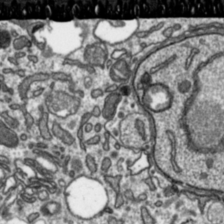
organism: Toxoplasma gondii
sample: Parasites in a vacuole inside a host cell